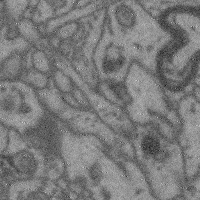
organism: Mouse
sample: Cerebral cortex